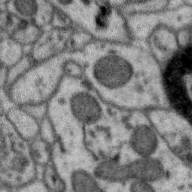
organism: Zebra finch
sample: Brain